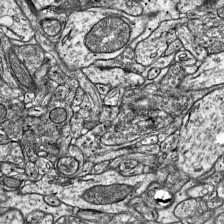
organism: Mouse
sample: Visual Cortex